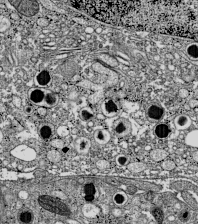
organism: C57BL Mouse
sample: Pancreatic islet